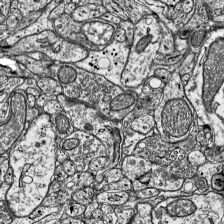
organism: Mouse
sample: Visual Cortex